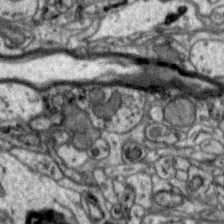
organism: Zebra finch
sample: Brain